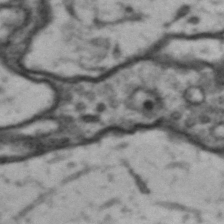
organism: Drosophila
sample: Brain